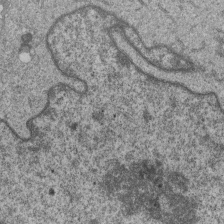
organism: Human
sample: MDA-MB-231 cells